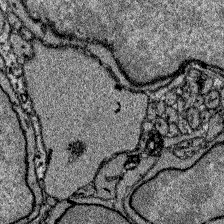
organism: Zebrafish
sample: Larval olfactory bulb